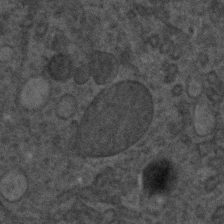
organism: C. elegans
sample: C. elegans embryo